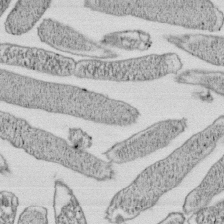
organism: E. coli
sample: Bacterial nucleoid